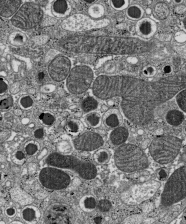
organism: C57BL Mouse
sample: Pancreatic islet